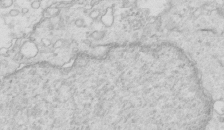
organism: Mouse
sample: Multiciliated cells